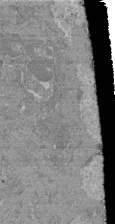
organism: Mouse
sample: Glomerulus